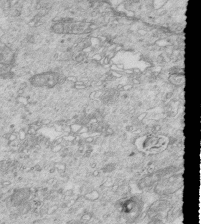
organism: Mouse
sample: Multiciliated cells